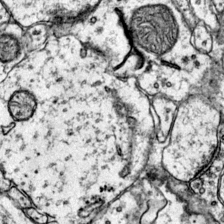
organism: Mouse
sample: Primary visual cortex